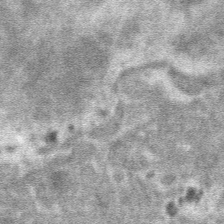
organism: Mouse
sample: Mouse hepatocytes